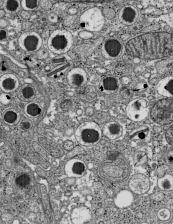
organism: C57BL Mouse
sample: Pancreatic islet